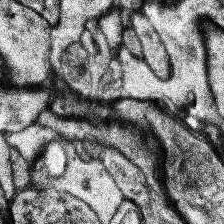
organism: Human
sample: Temporal Lobe